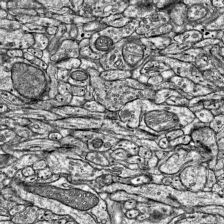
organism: Mouse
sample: Visual Cortex